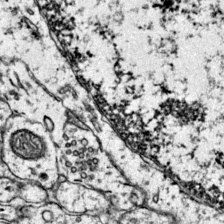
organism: Mouse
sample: Primary visual cortex